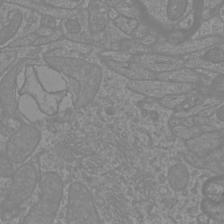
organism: Mouse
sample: Cortical neurons